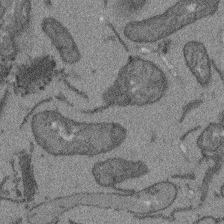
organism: Arabidopsis thaliana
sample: Root tip